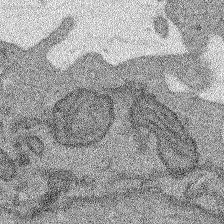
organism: Human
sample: HeLa cells